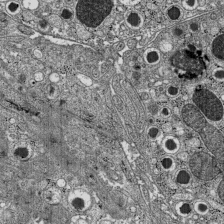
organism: C57BL Mouse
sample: Pancreatic islet